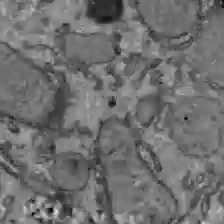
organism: C57BL Mouse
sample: Liver